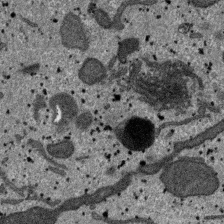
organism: Human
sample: Lung epithelial cells, uninfected (mock) control